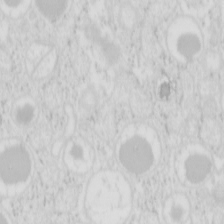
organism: Mouse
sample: Pancreas